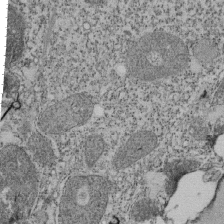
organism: Tetrahymena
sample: Cilia in tetrahymena